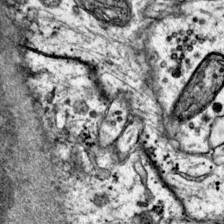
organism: Mouse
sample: Primary visual cortex